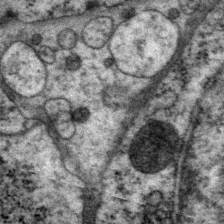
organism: P. pacificus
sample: Pharynx